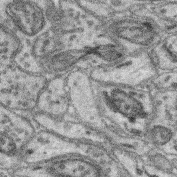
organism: Mouse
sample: Retina